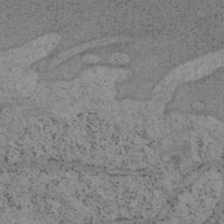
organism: Mouse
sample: OT-I killer T cells with ID8 ovarian cancer cells